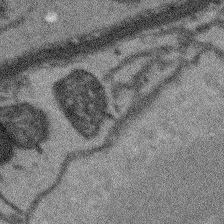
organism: Arabidopsis thaliana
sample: Root tip